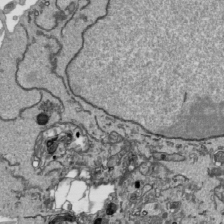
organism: Human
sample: Mitochondria in HCT116 cells